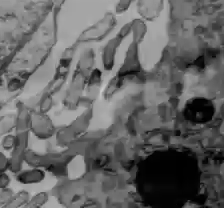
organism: C57BL Mouse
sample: Liver